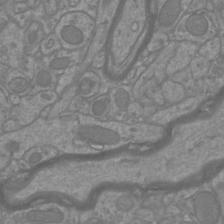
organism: Mouse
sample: Cortical neurons